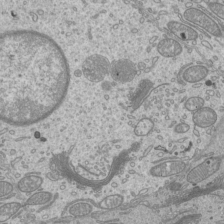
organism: Mouse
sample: Cilia; mouse epididymis